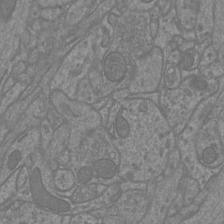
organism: Mouse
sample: Cortical neurons